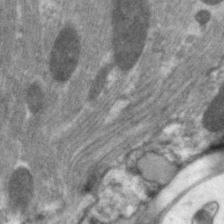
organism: C. elegans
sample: Pharynx